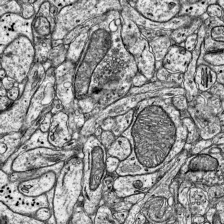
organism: Mouse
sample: Visual Cortex